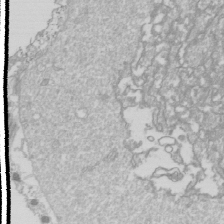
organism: Drosophila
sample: Cell division; meiosis; drosophila spermatocytes